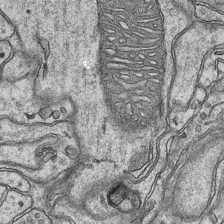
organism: Mouse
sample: CA1 Hippocampus